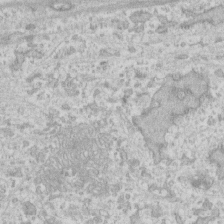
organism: Human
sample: Fibroblast cells